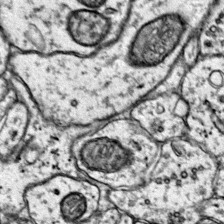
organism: Mouse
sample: Primary visual cortex